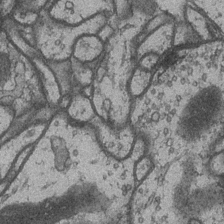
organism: Drosophila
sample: Optic medulla